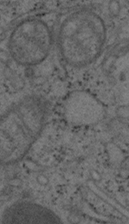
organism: Human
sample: HeLa cells